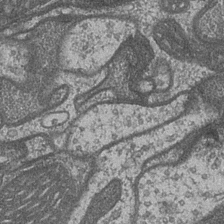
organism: Drosophila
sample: Optic medulla